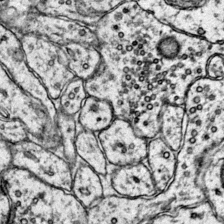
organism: Mouse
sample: Primary visual cortex